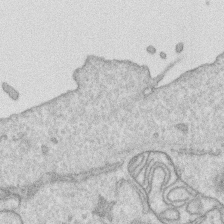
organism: Human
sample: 1205lu cells